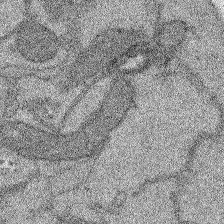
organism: Human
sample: HeLa cells